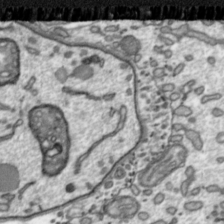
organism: Toxoplasma gondii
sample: Parasites in a vacuole inside a host cell